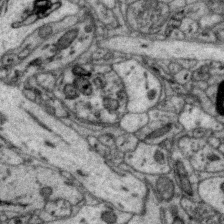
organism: Zebra finch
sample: Brain